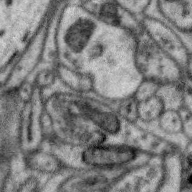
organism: Zebra finch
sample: Brain